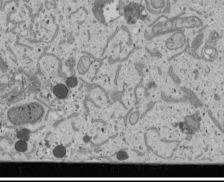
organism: Human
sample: Mitochondria in U2OS cells